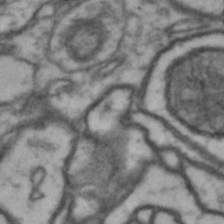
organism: Drosophila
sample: Brain